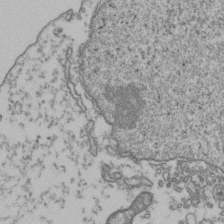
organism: Human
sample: Activated Jurkat CD4+ T cells